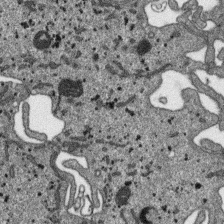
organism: Human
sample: Lung epithelial cells infected with SARS-CoV-2